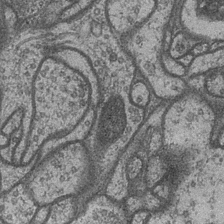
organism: Drosophila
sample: Optic medulla